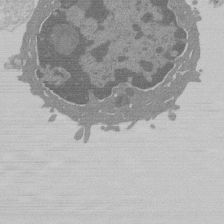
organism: Mouse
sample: Activated Pmel transgenic CD8+ T Cells